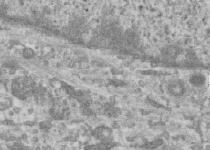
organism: Human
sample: Centriole in RPE cells